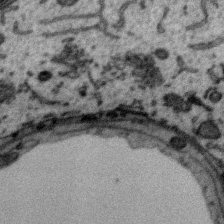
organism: Zebra finch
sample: Brain